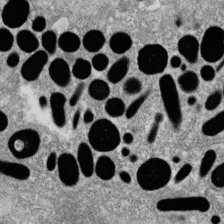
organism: Zebrafish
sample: Cilia; retinal pigment epithelium